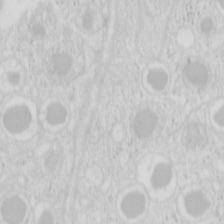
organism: Mouse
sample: Pancreas